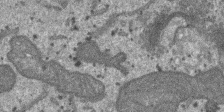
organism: Human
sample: Lung epithelial cells infected with SARS-CoV-2